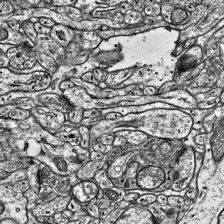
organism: Mouse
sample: Visual Cortex